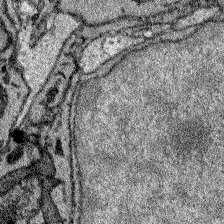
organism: Zebrafish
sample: Larval olfactory bulb